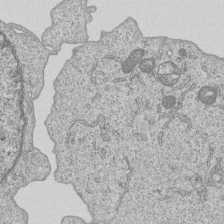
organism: Human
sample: MDA-MB-231 cells